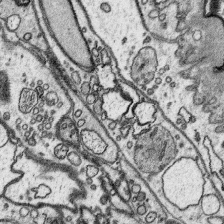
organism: Platynereis dumerilii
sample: Parapodia